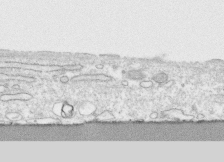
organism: Human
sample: CRL-1474